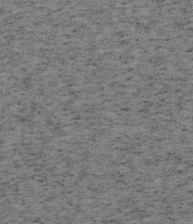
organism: Mouse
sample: OT-I killer T cells with ID8 ovarian cancer cells